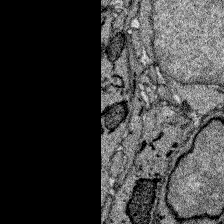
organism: Zebrafish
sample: Larval olfactory bulb